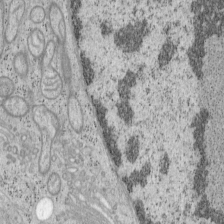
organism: Mouse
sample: OT-I killer T cells with ID8 ovarian cancer cells